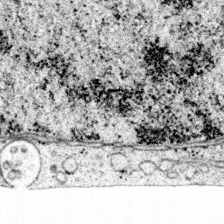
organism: Human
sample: HeLa cells